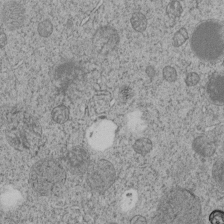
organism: C. elegans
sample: C. elegans embryo early stage